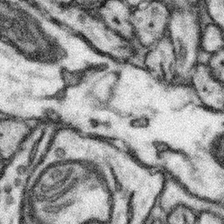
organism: Mouse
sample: Somatosensory cortex neuropil